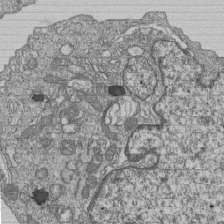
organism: Human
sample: MDA-MB-231 cells